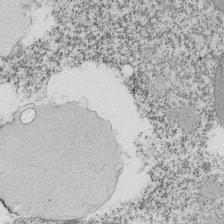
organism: Tetrahymena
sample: Cilia in tetrahymena